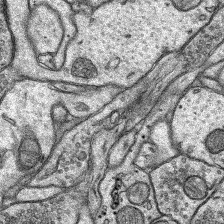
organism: Rat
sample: Hippocampus